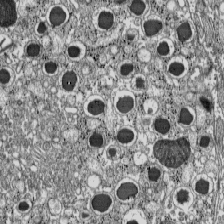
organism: C57BL Mouse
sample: Pancreatic islet